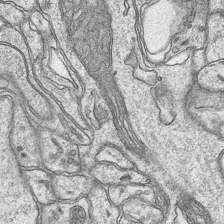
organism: Mouse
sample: CA1 Hippocampus